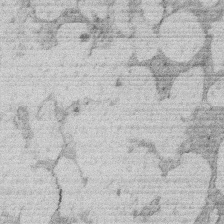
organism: Rat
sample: Salivary granule